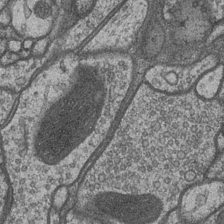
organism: Drosophila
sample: Optic medulla